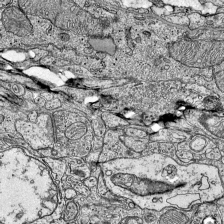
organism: Mouse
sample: Visual Cortex